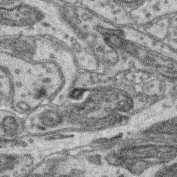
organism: Mouse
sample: Retina